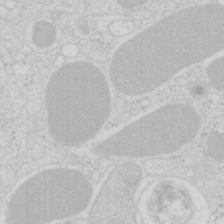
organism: Mouse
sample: Pancreas